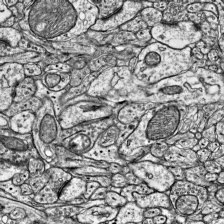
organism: Mouse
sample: Visual Cortex